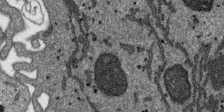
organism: Human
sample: Lung epithelial cells infected with SARS-CoV-2